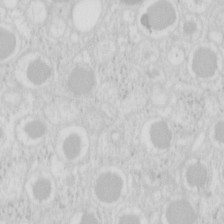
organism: Mouse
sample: Pancreas